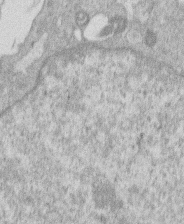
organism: Human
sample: Macrophage cells